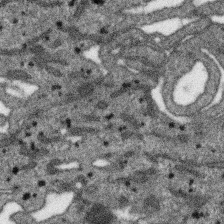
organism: Human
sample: Lung epithelial cells infected with SARS-CoV-2